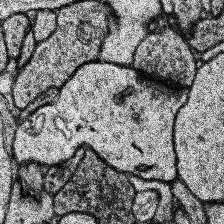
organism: Human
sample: Temporal Lobe